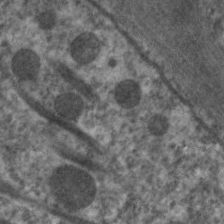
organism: C. elegans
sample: Pharynx